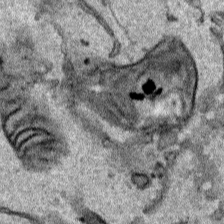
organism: Human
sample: Mitochondria in HCT116 cells